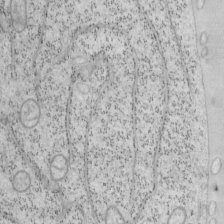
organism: Mouse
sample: OT-I killer T cells with ID8 ovarian cancer cells